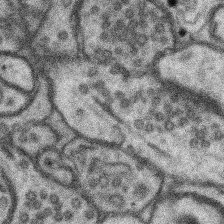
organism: Mouse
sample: Somatosensory cortex neuropil